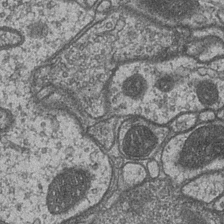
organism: Drosophila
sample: Optic medulla